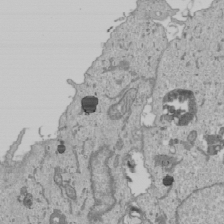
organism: Human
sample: Mitochondria in U2OS cells